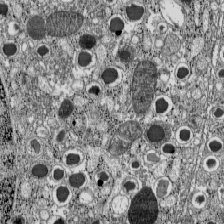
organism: C57BL Mouse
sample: Pancreatic islet